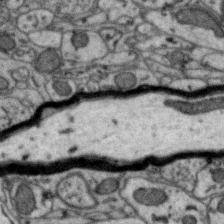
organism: Zebra finch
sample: Brain